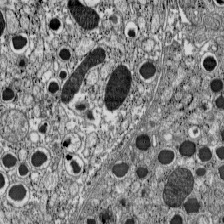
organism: C57BL Mouse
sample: Pancreatic islet